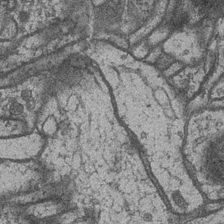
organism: Drosophila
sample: Optic medulla